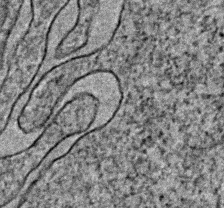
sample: Trachea